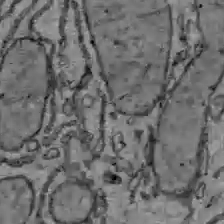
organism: C57BL Mouse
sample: Liver